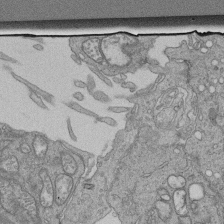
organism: Human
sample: Retinal organoid Rod and Cone cells